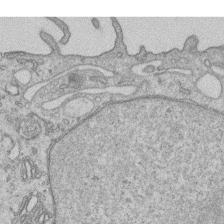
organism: Human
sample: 1205lu cells